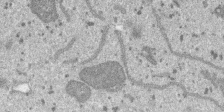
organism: Human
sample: Lung epithelial cells infected with SARS-CoV-2